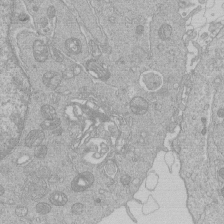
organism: Human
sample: Macrophage cells